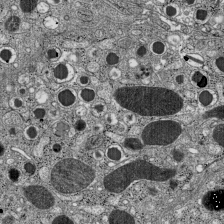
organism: C57BL Mouse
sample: Pancreatic islet